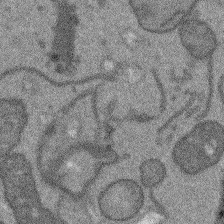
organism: Arabidopsis thaliana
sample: Root tip